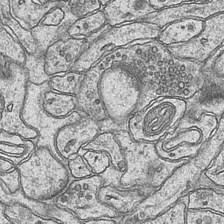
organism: Mouse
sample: CA1 Hippocampus